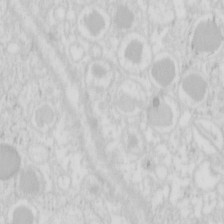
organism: Mouse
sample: Pancreas